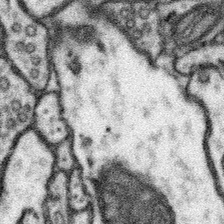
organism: Mouse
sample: Somatosensory cortex neuropil